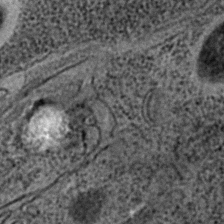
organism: C. elegans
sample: C. elegans embryo